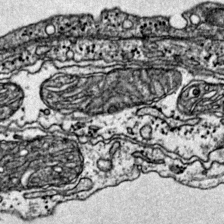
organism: Mouse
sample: Primary visual cortex